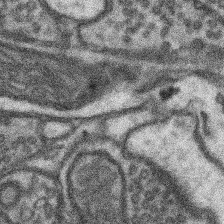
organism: Mouse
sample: Somatosensory cortex neuropil